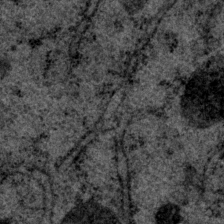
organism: P. pacificus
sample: Pharynx